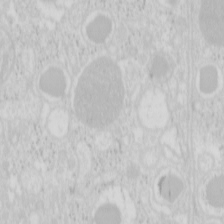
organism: Mouse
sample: Pancreas